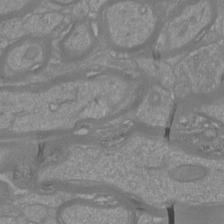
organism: Mouse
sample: Cortical neurons